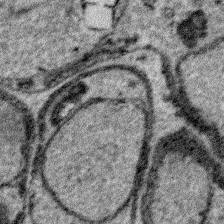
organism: Plasmodium falciparum